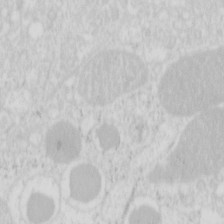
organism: Mouse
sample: Pancreas